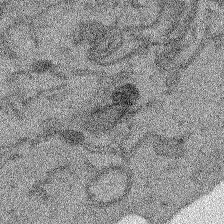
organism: Human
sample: HeLa cells